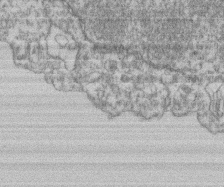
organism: Mouse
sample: T cell stromal cell synapse